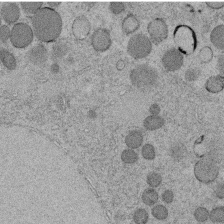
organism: C. elegans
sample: C. elegans embryo early stage